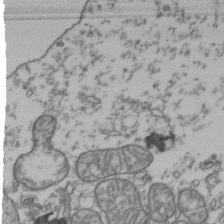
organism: Human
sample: Activated Jurkat CD4+ T cells